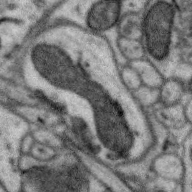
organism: Zebra finch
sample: Brain